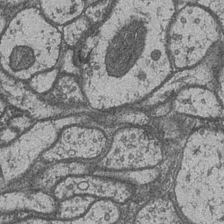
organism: Drosophila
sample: Optic medulla